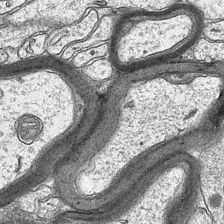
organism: Mouse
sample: CA1 Hippocampus